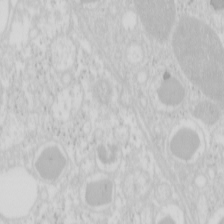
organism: Mouse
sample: Pancreas